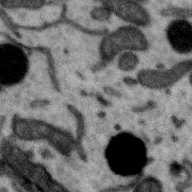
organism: Zebra finch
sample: Brain